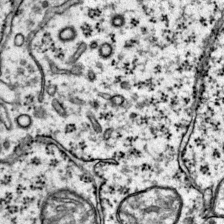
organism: Mouse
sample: Primary visual cortex